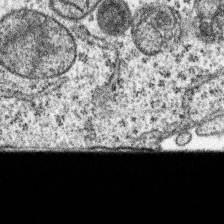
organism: Human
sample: HeLa cells